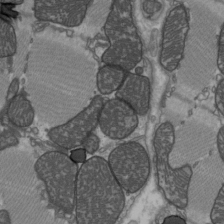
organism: C57BL Mouse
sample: Heart